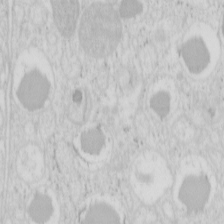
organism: Mouse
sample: Pancreas